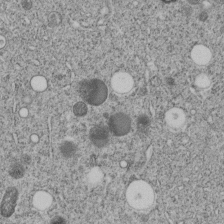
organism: C. elegans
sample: C. elegans embryo early stage